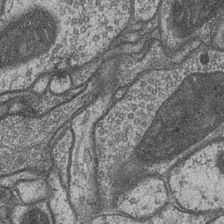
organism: Drosophila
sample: Optic medulla